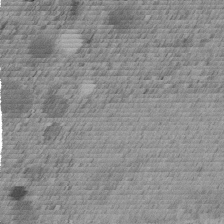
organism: C. elegans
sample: C. elegans embryo early stage